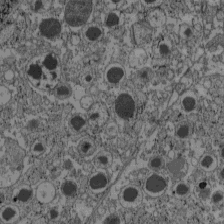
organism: C57BL Mouse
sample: Pancreatic islet